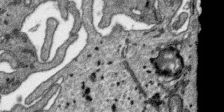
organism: Human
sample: Lung epithelial cells, uninfected (mock) control